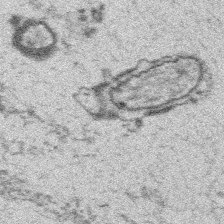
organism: Platynereis dumerilii